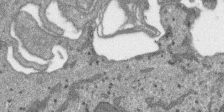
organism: Human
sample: Lung epithelial cells infected with SARS-CoV-2